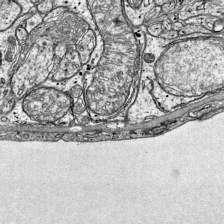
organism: Mouse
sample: Visual Cortex